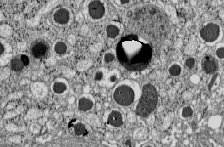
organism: C57BL Mouse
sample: Pancreatic islet